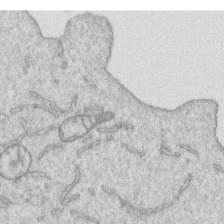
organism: Human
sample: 1205lu cells